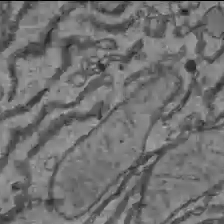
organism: C57BL Mouse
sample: Liver